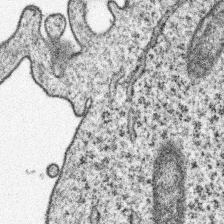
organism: Human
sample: HeLa cells